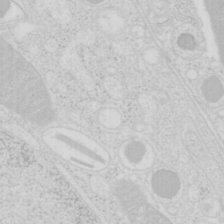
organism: Mouse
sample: Pancreas